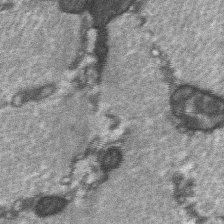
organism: C57BL Mouse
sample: Soleus